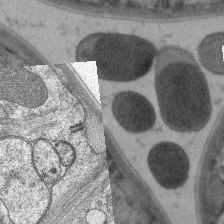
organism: C. elegans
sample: Pharynx